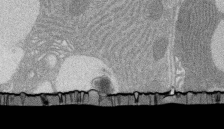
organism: Rat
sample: Salivary granule